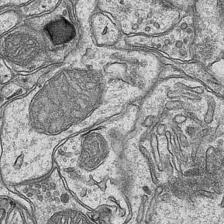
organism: Mouse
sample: CA1 Hippocampus